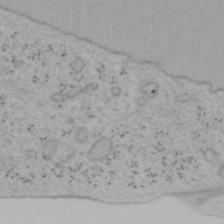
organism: Human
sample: HeLa cells